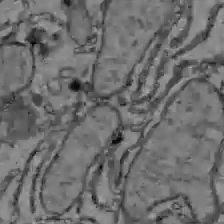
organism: C57BL Mouse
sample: Liver